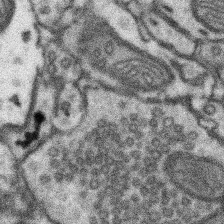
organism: Mouse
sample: Somatosensory cortex neuropil